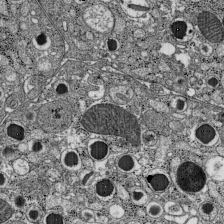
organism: C57BL Mouse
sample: Pancreatic islet